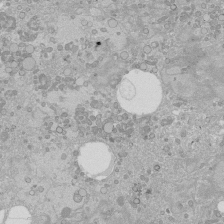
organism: Human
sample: Caco-2 cells